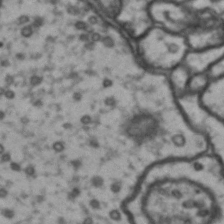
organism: Drosophila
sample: Brain